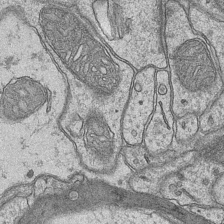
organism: Mouse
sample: CA1 Hippocampus